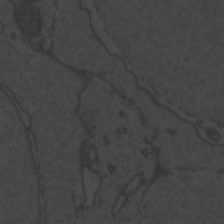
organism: Zebrafish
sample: Macrophage infected with Toxoplasma gondii